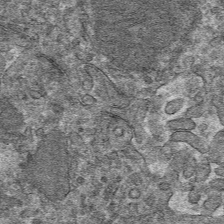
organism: Mouse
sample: Mouse hepatocytes